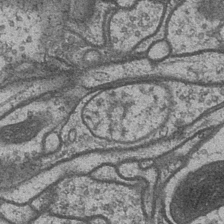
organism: Drosophila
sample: Optic medulla